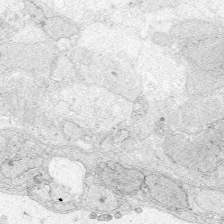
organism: Zebrafish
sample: Whole-Brain